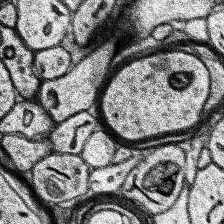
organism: Human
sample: Temporal Lobe